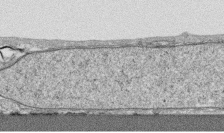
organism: Human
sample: CRL-1474